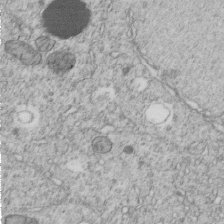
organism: C. elegans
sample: C. elegans embryo early stage